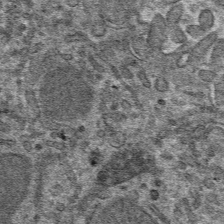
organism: Mouse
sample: Mouse hepatocytes